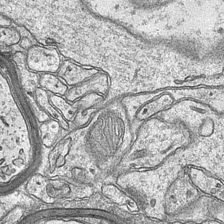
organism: Mouse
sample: CA1 Hippocampus